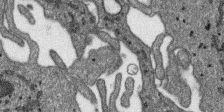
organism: Human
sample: Lung epithelial cells infected with SARS-CoV-2